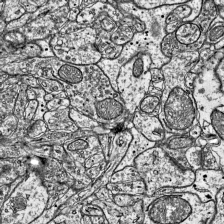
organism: Mouse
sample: Visual Cortex